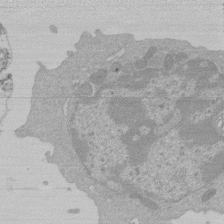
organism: Mouse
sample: Activated Pmel transgenic CD8+ T Cells